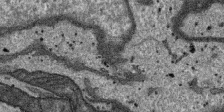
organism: Human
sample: Lung epithelial cells, uninfected (mock) control